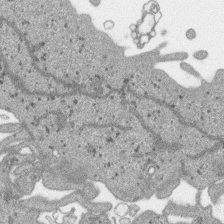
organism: Human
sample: Lung epithelial cells infected with SARS-CoV-2